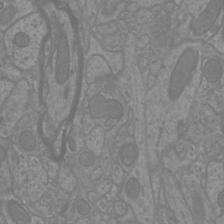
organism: Mouse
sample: Cortical neurons